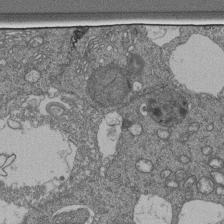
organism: Human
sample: Retinal organoid Rod and Cone cells